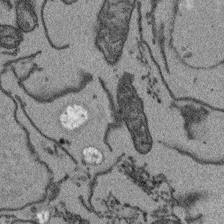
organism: Arabidopsis thaliana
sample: Root tip